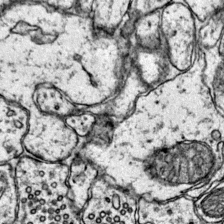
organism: Mouse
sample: Primary visual cortex